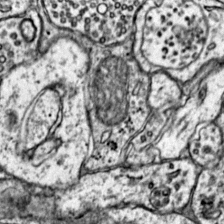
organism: Mouse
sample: Primary visual cortex